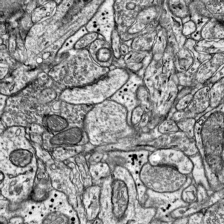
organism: Mouse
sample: Visual Cortex